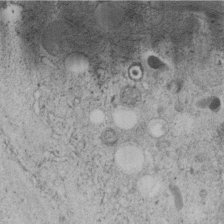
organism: C. elegans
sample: C. elegans embryo early stage